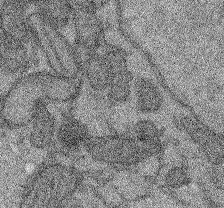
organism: Human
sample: HeLa cells